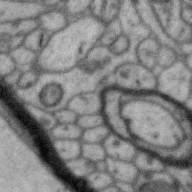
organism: Zebra finch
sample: Brain